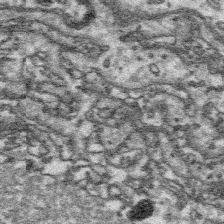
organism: Platynereis dumerilii